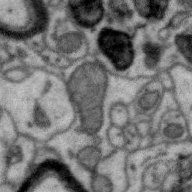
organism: Zebra finch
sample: Brain